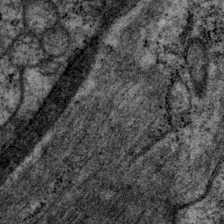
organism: P. pacificus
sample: Pharynx